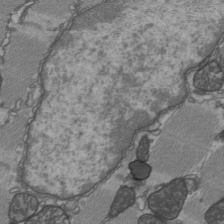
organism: C57BL Mouse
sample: Heart